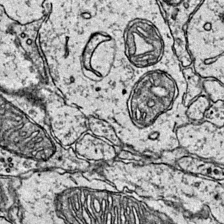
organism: Mouse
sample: Primary visual cortex